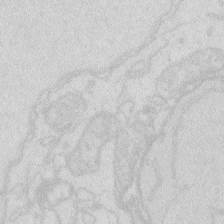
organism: Zebrafish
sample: Macrophage